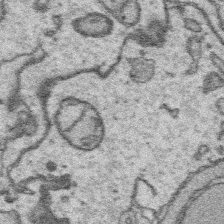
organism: Platynereis dumerilii